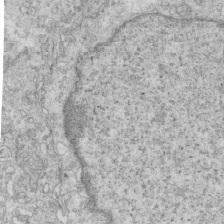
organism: Mouse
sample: Multiciliated cells